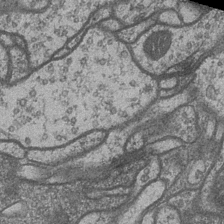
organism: Drosophila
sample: Optic medulla